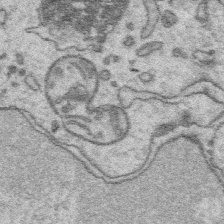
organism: Platynereis dumerilii